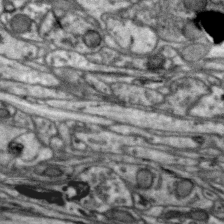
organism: Zebra finch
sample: Brain